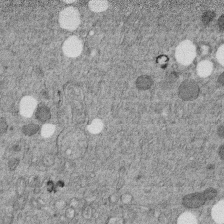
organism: C. elegans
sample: C. elegans embryo early stage